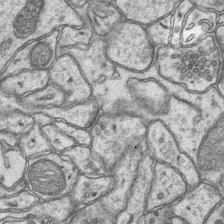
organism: Mouse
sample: CA1 Hippocampus